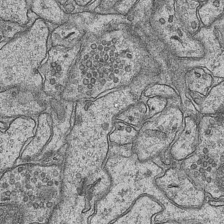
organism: Mouse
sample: CA1 Hippocampus